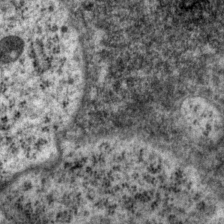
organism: P. pacificus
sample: Pharynx